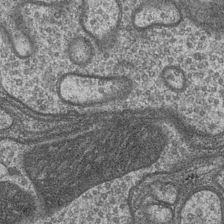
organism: Drosophila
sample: Optic medulla